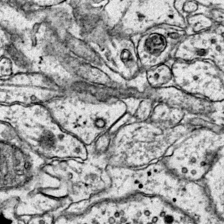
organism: Mouse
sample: Primary visual cortex